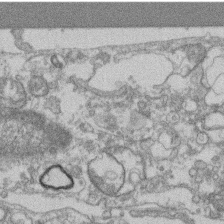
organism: Mouse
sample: T cell stromal cell synapse